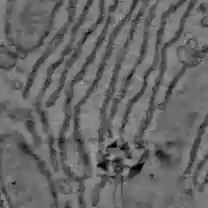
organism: C57BL Mouse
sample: Liver